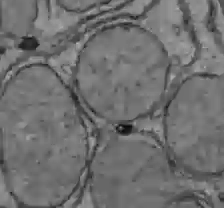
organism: C57BL Mouse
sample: Liver